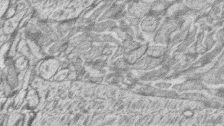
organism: Zebrafish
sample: synaptic ribbons in rod cells and cone cells